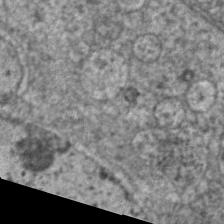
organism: C. elegans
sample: Pharynx